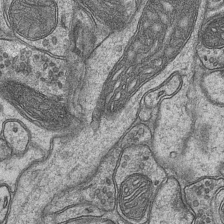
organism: Mouse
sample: CA1 Hippocampus